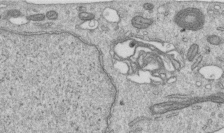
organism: Human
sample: Centriole in RPE cells